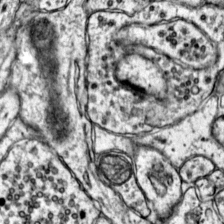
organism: Mouse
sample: Primary visual cortex